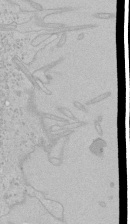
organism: Human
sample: Mitochondria in HCT116 cells